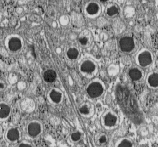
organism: C57BL Mouse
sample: Pancreatic islet